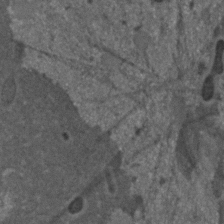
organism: C. elegans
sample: C. elegans embryo